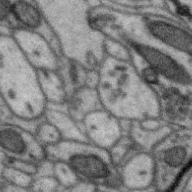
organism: Zebra finch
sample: Brain